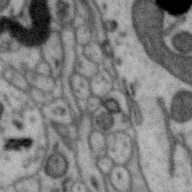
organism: Zebra finch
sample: Brain